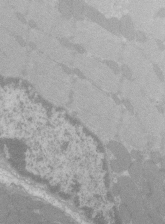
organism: C57BL Mouse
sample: Tibialis anterior muscle cell